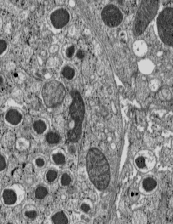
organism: C57BL Mouse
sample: Pancreatic islet